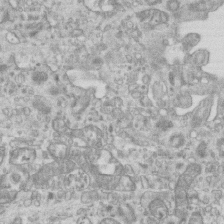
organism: Mouse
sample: Centriole in ependymal cells